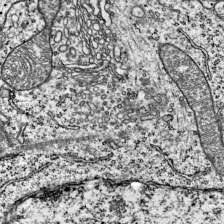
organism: Mouse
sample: Visual Cortex